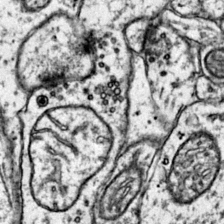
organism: Mouse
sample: Primary visual cortex